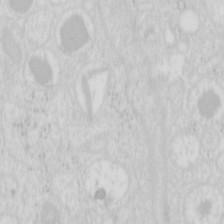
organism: Mouse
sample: Pancreas